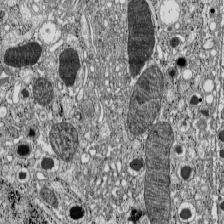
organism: C57BL Mouse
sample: Pancreatic islet